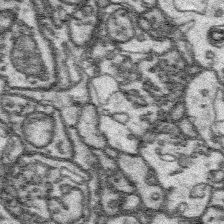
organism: Platynereis dumerilii